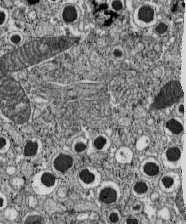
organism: C57BL Mouse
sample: Pancreatic islet